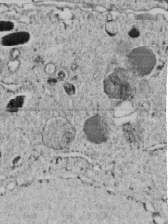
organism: C. elegans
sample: C. elegans embryo early stage